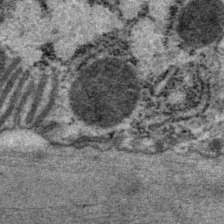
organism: P. pacificus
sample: Pharynx